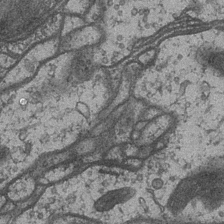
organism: Drosophila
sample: Optic medulla